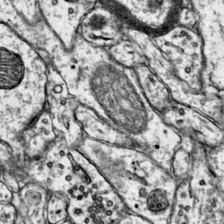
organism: Mouse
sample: Primary visual cortex